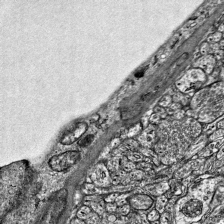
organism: Mouse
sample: Visual Cortex